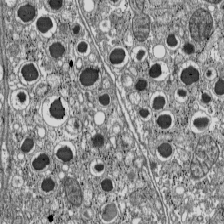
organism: C57BL Mouse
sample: Pancreatic islet